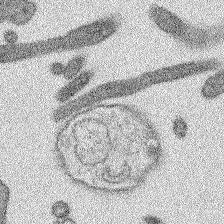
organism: Human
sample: HeLa cells